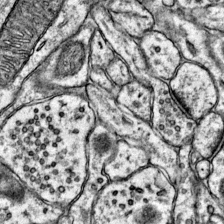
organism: Mouse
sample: Primary visual cortex